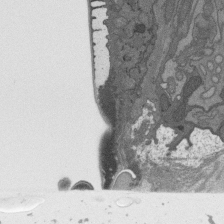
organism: C. elegans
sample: AFD neurons C. elegans